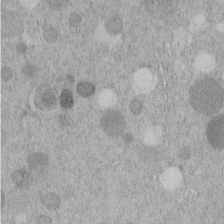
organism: C. elegans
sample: C. elegans embryo early stage